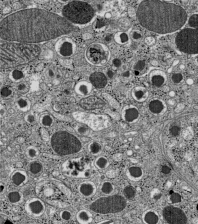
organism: C57BL Mouse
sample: Pancreatic islet